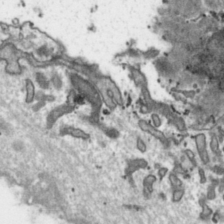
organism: Toxoplasma gondii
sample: Parasites in a vacuole inside a host cell